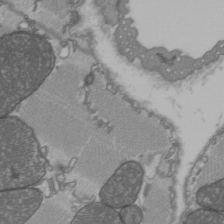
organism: C57BL Mouse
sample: Heart